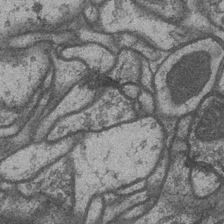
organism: Drosophila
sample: Optic medulla